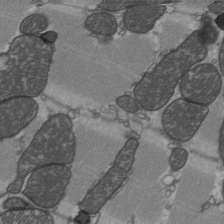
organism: C57BL Mouse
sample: Heart